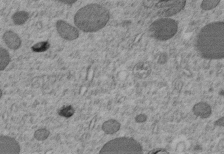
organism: C. elegans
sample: C. elegans embryo early stage